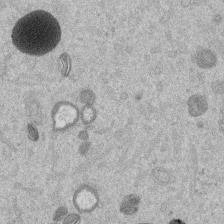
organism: Mouse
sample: Dividing mouse embryo 1 cell stage